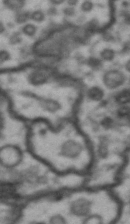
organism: Drosophila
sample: Brain